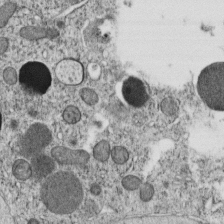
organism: C. elegans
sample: C. elegans embryo early stage